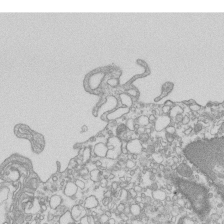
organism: Mouse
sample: Macrophages